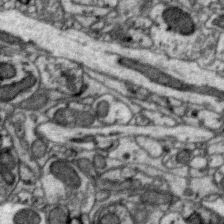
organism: Zebra finch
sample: Brain